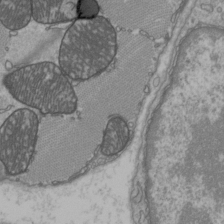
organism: C57BL Mouse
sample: Heart